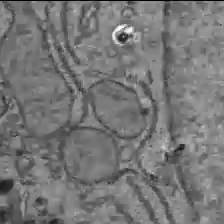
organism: C57BL Mouse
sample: Liver